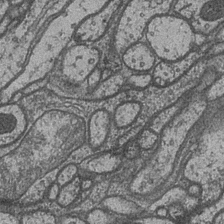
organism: Drosophila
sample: Optic medulla